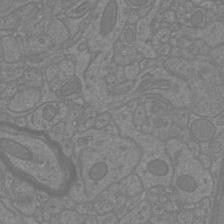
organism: Mouse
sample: Cortical neurons